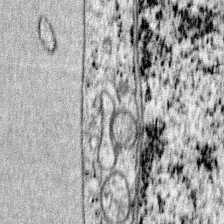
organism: Human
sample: HeLa cells